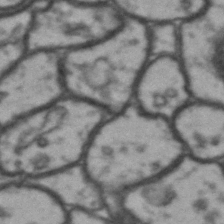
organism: Drosophila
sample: Brain